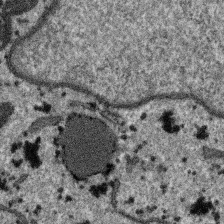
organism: Human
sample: Lung epithelial cells infected with SARS-CoV-2